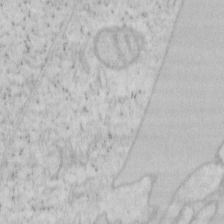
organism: Human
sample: HeLa cells